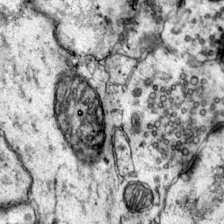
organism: Mouse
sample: Primary visual cortex